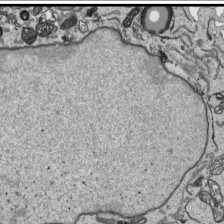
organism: Human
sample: Mitochondria in HCT116 cells